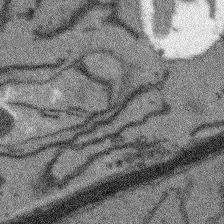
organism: Arabidopsis thaliana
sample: Root tip